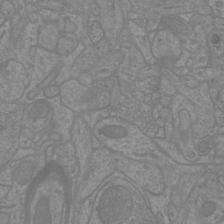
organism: Mouse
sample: Cortical neurons